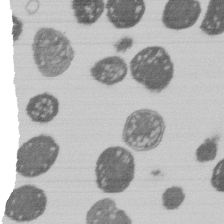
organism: E. coli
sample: Bacterial nucleoid